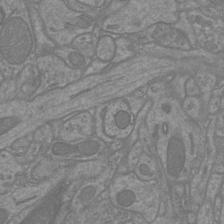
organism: Mouse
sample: Cortical neurons